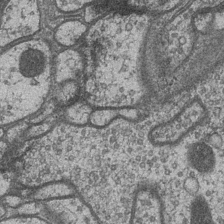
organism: Drosophila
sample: Optic medulla